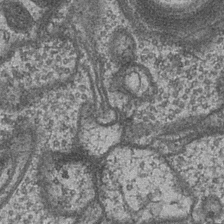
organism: Drosophila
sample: Optic medulla